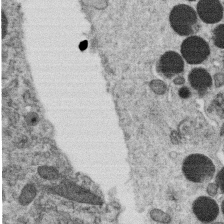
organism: C. elegans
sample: C. elegans oocyte; sperm cells